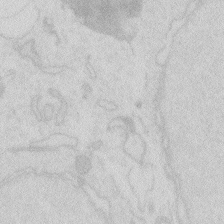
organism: Zebrafish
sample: Macrophage